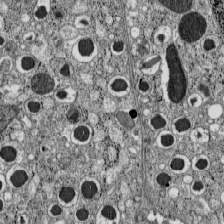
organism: C57BL Mouse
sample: Pancreatic islet